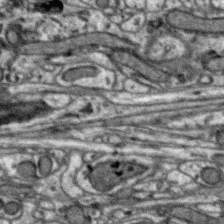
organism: Zebra finch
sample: Brain